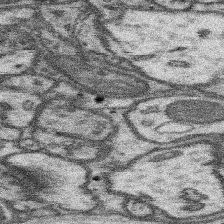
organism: Mouse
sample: Somatosensory cortex neuropil